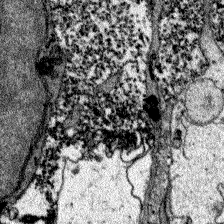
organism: Zebrafish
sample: Larval olfactory bulb